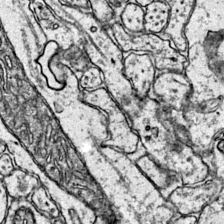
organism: Mouse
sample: Primary visual cortex